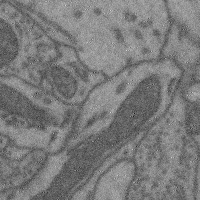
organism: Mouse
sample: Cerebral cortex